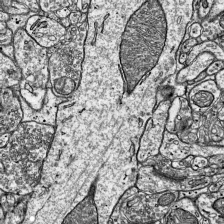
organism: Mouse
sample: Visual Cortex